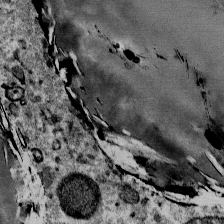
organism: Mouse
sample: Mouse Salivary gland